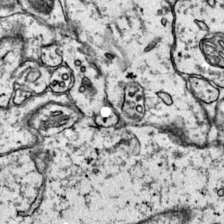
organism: Mouse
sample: Primary visual cortex